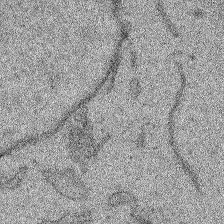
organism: Human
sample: HeLa cells